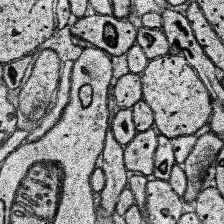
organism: Human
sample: Temporal Lobe